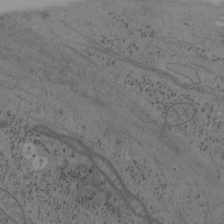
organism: Mouse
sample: OT-I killer T cells with ID8 ovarian cancer cells